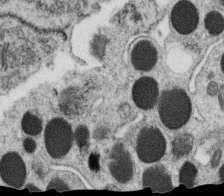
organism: C. elegans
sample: C. elegans oocyte; sperm cells